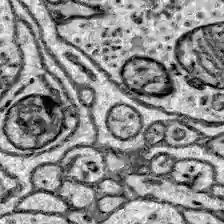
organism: Zebrafish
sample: Brain